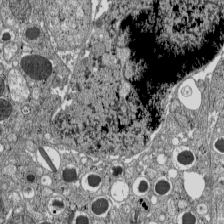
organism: C57BL Mouse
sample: Pancreatic islet